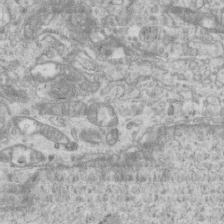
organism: Mouse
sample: Centriole in ependymal cells